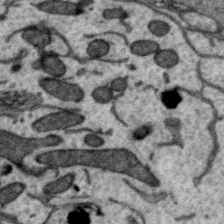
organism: Zebra finch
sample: Brain